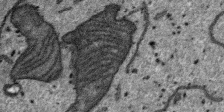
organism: Human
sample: Lung epithelial cells, uninfected (mock) control